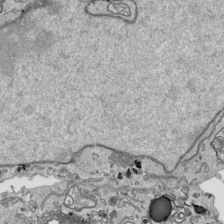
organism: Human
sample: Mitochondria in HCT116 cells